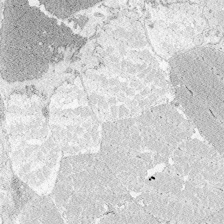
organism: Zebrafish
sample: Whole-Brain